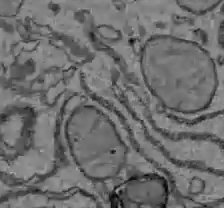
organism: C57BL Mouse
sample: Liver